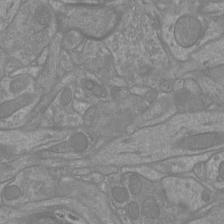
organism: Mouse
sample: Cortical neurons